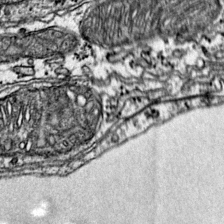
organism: Mouse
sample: Primary visual cortex